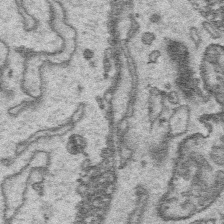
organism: Platynereis dumerilii